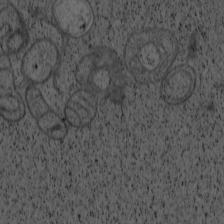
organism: African green monkey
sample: COS-7 cells